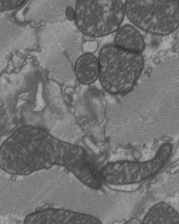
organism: C57BL Mouse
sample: Heart